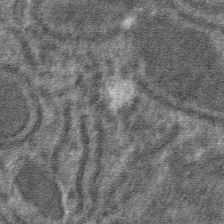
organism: Mouse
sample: Mouse hepatocytes